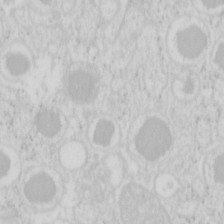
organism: Mouse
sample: Pancreas